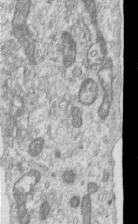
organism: Human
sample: Centriole in RPE cells